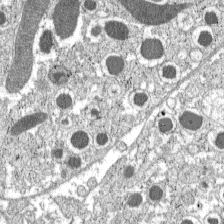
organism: C57BL Mouse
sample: Pancreatic islet